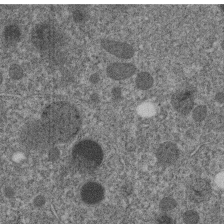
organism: C. elegans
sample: C. elegans embryo early stage